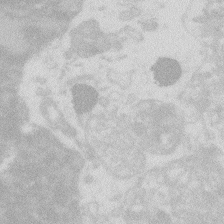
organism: Zebrafish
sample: Macrophage